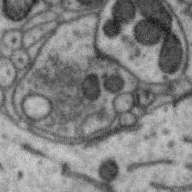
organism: Zebra finch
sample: Brain